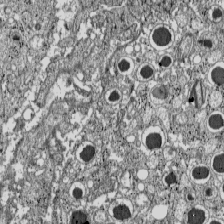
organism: C57BL Mouse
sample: Pancreatic islet